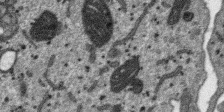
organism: Human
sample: Lung epithelial cells infected with SARS-CoV-2